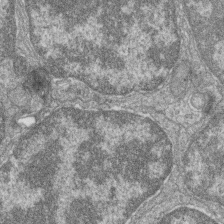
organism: Zebrafish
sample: Cilia; retinal pigment epithelium